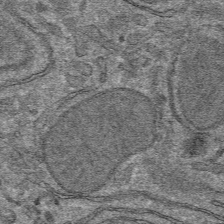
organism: Mouse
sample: Mouse hepatocytes